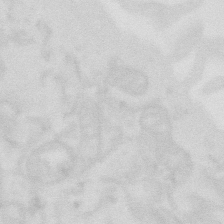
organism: Human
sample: HeLa cells